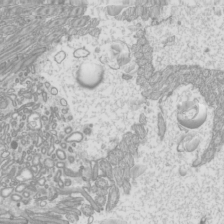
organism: Mouse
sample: Cilia; mouse epididymis